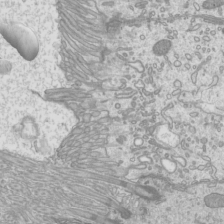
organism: Mouse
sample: Cilia; mouse epididymis